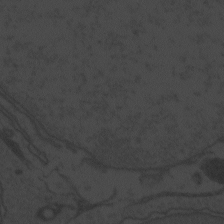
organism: Zebrafish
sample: Macrophage infected with Toxoplasma gondii